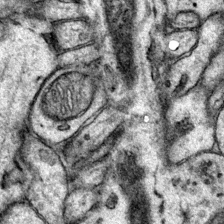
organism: Mouse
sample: Primary visual cortex